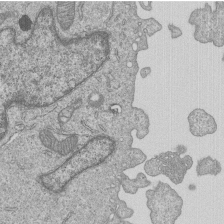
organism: Human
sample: MDA-MB-231 cells